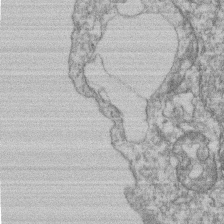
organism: Mouse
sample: T cell stromal cell synapse